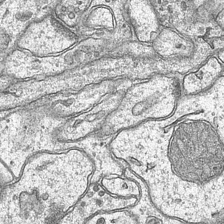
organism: Mouse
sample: CA1 Hippocampus